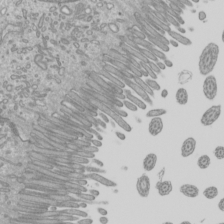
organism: Mouse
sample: Cilia; mouse epididymis